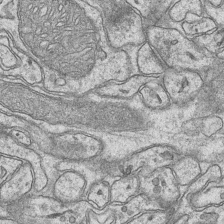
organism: Mouse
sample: CA1 Hippocampus